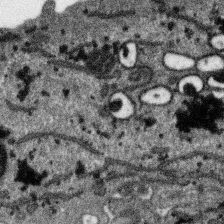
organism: Human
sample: Lung epithelial cells infected with SARS-CoV-2